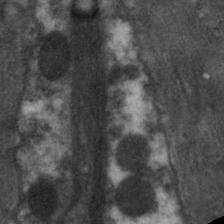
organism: C. elegans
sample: Pharynx